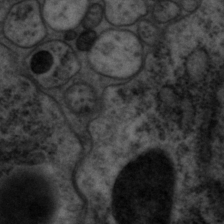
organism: P. pacificus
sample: Pharynx